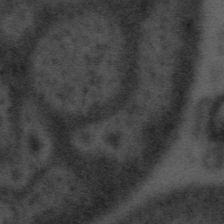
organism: Tuwongella immobilis